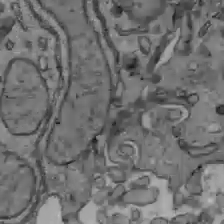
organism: C57BL Mouse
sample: Liver